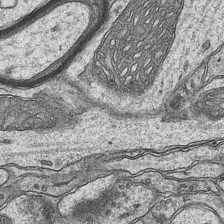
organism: Mouse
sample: CA1 Hippocampus